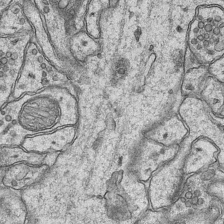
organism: Mouse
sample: CA1 Hippocampus